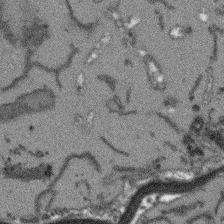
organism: Arabidopsis thaliana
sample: Root tip